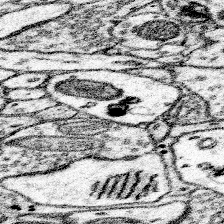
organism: Mouse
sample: Somatosensory cortex neuropil